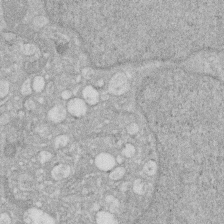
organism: Human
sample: HIV infected U937 cells